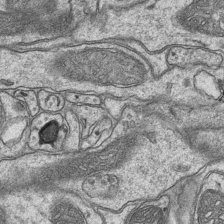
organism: Mouse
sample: CA1 Hippocampus